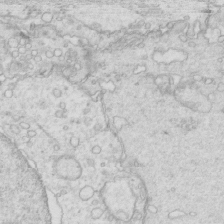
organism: Mouse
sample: Multiciliated cells